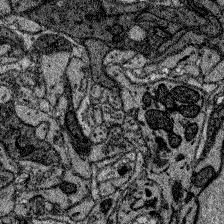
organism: Zebrafish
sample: Larval olfactory bulb